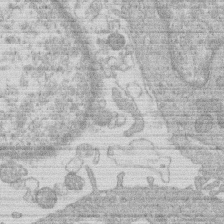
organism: Human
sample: Macrophage cells